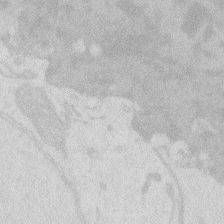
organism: Zebrafish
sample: Macrophage